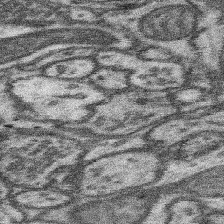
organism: Mouse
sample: Somatosensory cortex neuropil